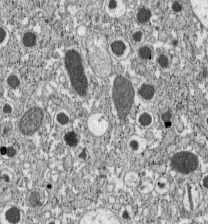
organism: C57BL Mouse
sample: Pancreatic islet